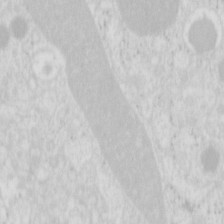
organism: Mouse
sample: Pancreas